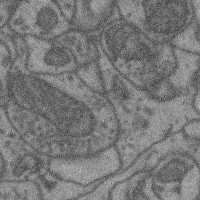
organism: Mouse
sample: Cerebral cortex